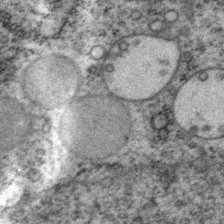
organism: P. pacificus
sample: Pharynx